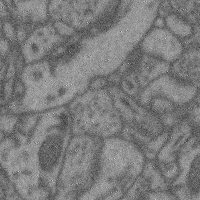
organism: Mouse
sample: Cerebral cortex